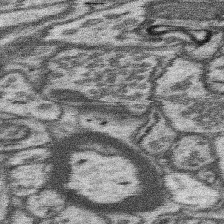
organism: Mouse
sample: Somatosensory cortex neuropil